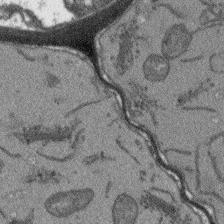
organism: Arabidopsis thaliana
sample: Root tip